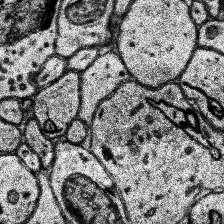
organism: Human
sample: Temporal Lobe